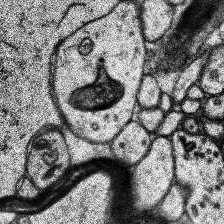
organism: Human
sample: Temporal Lobe